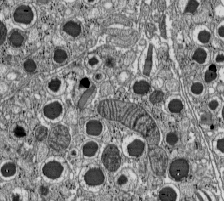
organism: C57BL Mouse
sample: Pancreatic islet